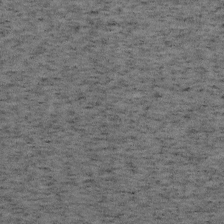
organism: Mouse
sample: OT-I killer T cells with ID8 ovarian cancer cells